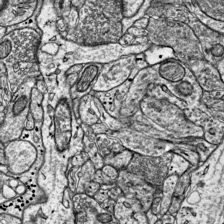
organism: Mouse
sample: Visual Cortex